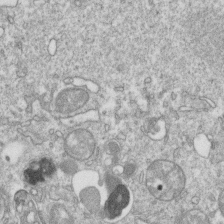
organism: Mouse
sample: Activated OT-1 CD8+ T cells